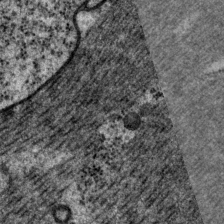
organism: P. pacificus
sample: Pharynx